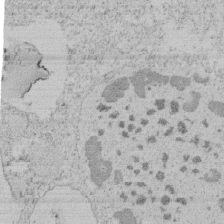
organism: Tetrahymena